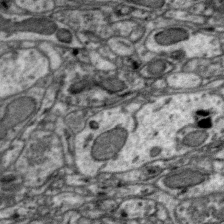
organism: Zebra finch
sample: Brain